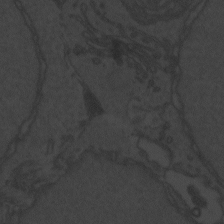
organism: Zebrafish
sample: Macrophage infected with Toxoplasma gondii